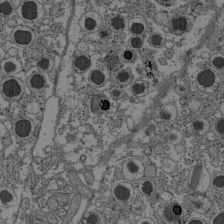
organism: C57BL Mouse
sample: Pancreatic islet